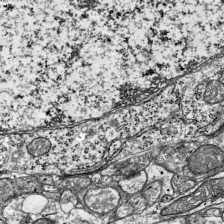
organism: Mouse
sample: Visual Cortex